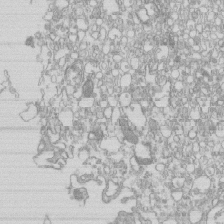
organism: Mouse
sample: Macrophages